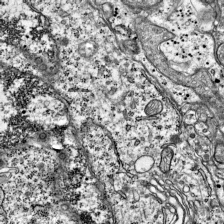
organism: Mouse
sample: Visual Cortex